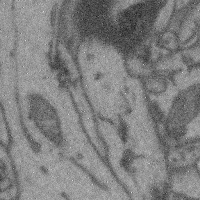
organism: Mouse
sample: Cerebral cortex